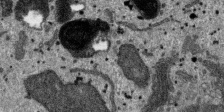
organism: Human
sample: Lung epithelial cells, uninfected (mock) control